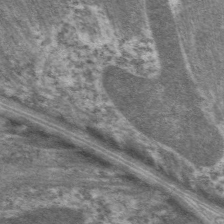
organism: C. elegans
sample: Pharynx